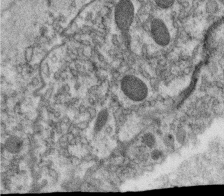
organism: C. elegans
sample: C. elegans oocyte; sperm cells